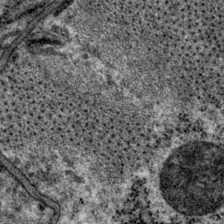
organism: P. pacificus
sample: Pharynx